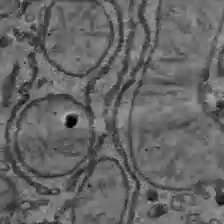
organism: C57BL Mouse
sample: Liver